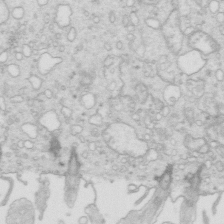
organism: Mouse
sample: Multiciliated cells